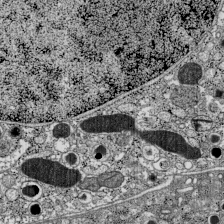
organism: C57BL Mouse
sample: Pancreatic islet